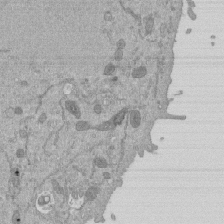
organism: Mouse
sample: ED-1 cell nuclei; centrioles